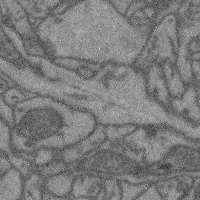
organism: Mouse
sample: Cerebral cortex